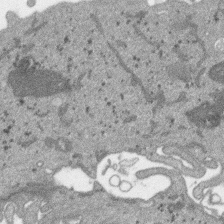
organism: Human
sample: Lung epithelial cells infected with SARS-CoV-2